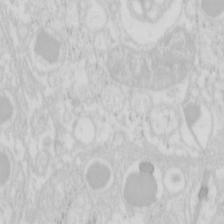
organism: Mouse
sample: Pancreas